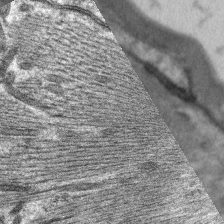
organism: C. elegans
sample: Pharynx